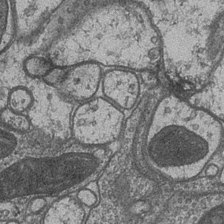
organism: Drosophila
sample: Optic medulla